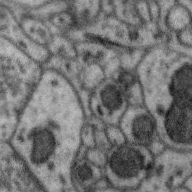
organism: Zebra finch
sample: Brain